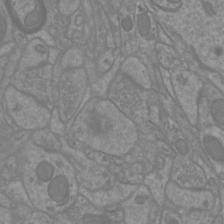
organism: Mouse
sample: Cortical neurons